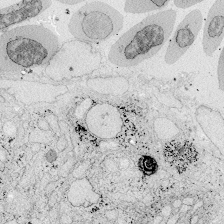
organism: Zebrafish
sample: Whole-Brain